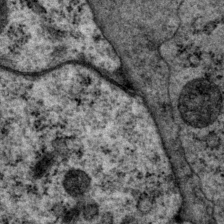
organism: P. pacificus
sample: Pharynx